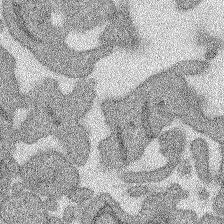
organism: Human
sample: HeLa cells